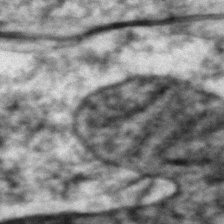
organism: Zebrafish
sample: Zebrafish embryo